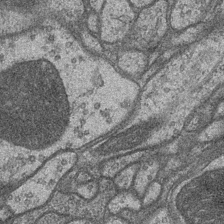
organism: Drosophila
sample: Optic medulla